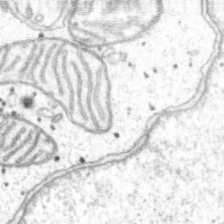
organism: Human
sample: HeLa cells